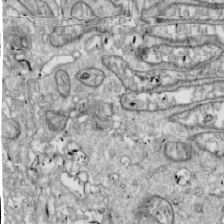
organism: Drosophila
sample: Cell division; meiosis; drosophila spermatocytes